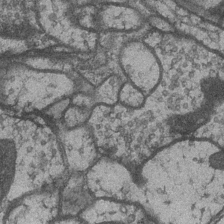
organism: Drosophila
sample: Optic medulla